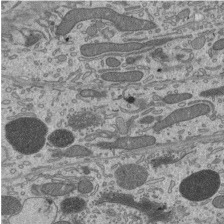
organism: Mouse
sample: Mouse epididymis efferent ductule cilia